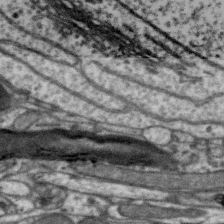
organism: Zebra finch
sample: Brain